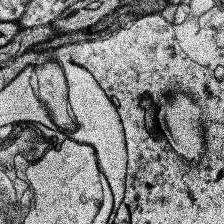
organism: Human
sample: Temporal Lobe